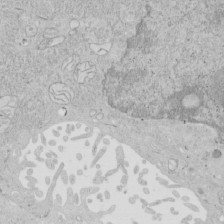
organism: Human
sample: Mitochondria in HCT116 cells